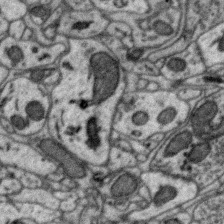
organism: Zebra finch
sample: Brain